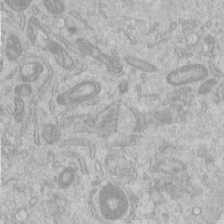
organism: Human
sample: Centriole in RPE cells